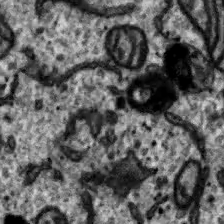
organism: Human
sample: HeLa cells